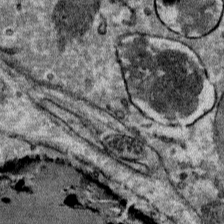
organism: Mouse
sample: Mouse Salivary gland